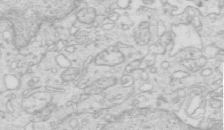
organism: Mouse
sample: Multiciliated cells